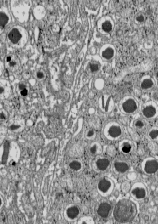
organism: C57BL Mouse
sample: Pancreatic islet